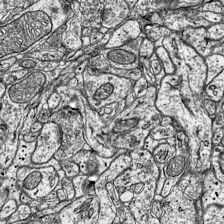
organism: Mouse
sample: Visual Cortex